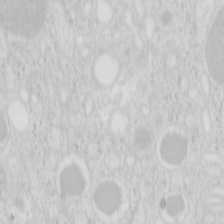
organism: Mouse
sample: Pancreas